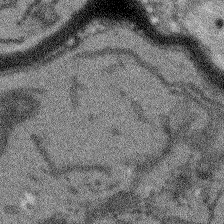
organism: Arabidopsis thaliana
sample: Root tip